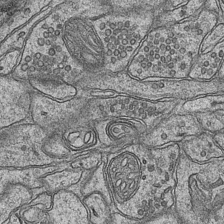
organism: Mouse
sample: CA1 Hippocampus